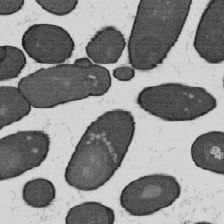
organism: B. subtilis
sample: Bacterial spore